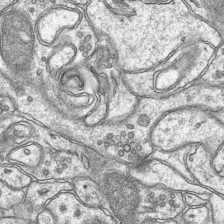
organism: Mouse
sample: CA1 Hippocampus